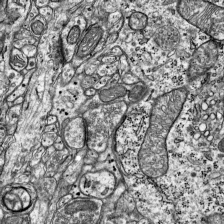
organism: Mouse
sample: Visual Cortex